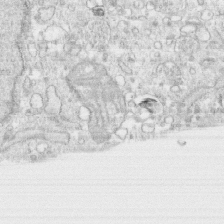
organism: Human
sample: CRL-1474